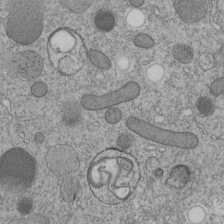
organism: C. elegans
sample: C. elegans embryo early stage